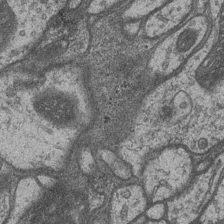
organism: Drosophila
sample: Optic medulla